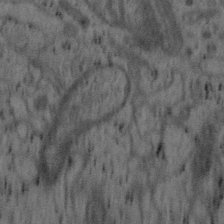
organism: Human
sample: HeLa cells